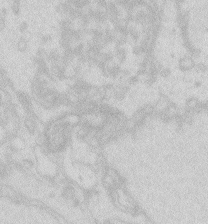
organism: Zebrafish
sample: Macrophage